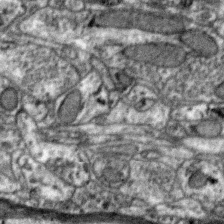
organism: Zebra finch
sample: Brain